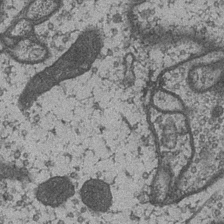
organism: Drosophila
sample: Optic medulla